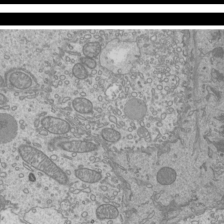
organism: Mouse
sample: Cilia; mouse epididymis